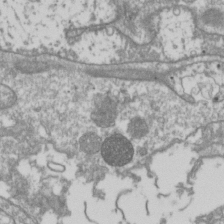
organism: Drosophila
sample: Cell division; meiosis; drosophila spermatocytes